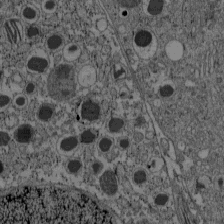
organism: C57BL Mouse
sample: Pancreatic islet